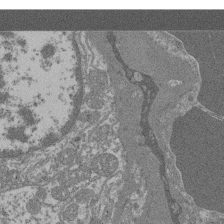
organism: Mouse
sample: Glomerulus